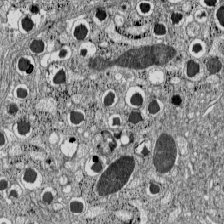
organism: C57BL Mouse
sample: Pancreatic islet